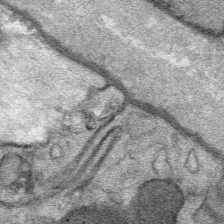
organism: Mouse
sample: Mouse Salivary gland